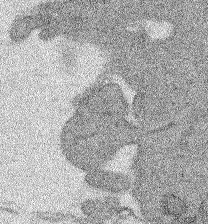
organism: Human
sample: HeLa cells